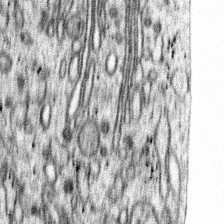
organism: Human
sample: HeLa cells